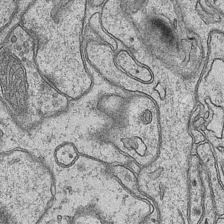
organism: Mouse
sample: CA1 Hippocampus